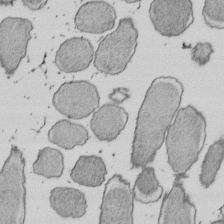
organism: E. coli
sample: Bacterial nucleoid